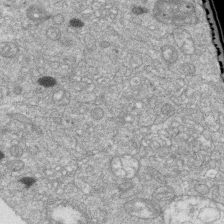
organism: Human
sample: HeLa cell HIV synapse